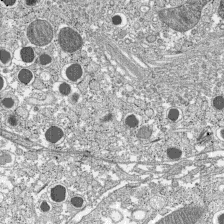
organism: C57BL Mouse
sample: Pancreatic islet